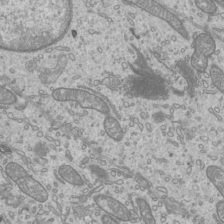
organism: Mouse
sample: Cilia; mouse epididymis